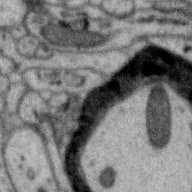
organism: Zebra finch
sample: Brain